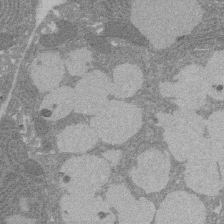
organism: Rat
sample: Salivary granule